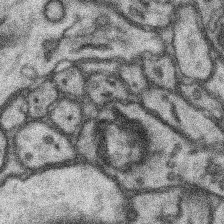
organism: Mouse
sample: Somatosensory cortex neuropil